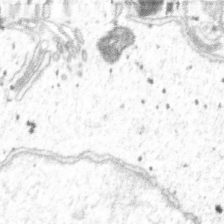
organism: Human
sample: HeLa cells